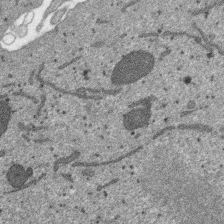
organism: Human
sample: Lung epithelial cells infected with SARS-CoV-2